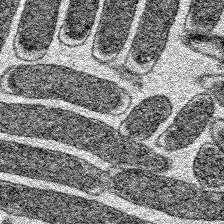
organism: E. coli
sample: E. Coli Bacteria